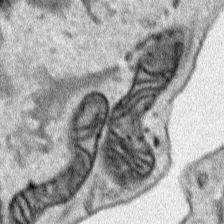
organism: Human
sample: Mitochondria in HCT116 cells